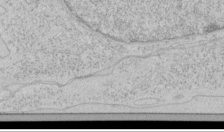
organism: Human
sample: Mitochondria in HCT116 cells